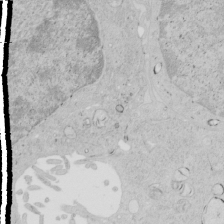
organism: Human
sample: Mitochondria in HCT116 cells